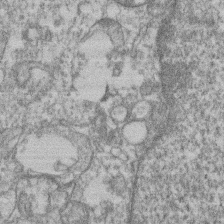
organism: Mouse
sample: T cell stromal cell synapse